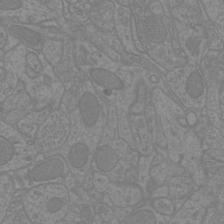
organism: Mouse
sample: Cortical neurons